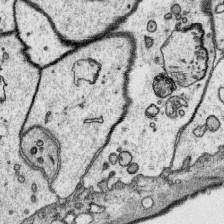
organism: Platynereis dumerilii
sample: Parapodia